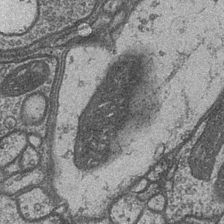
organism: Drosophila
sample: Optic medulla